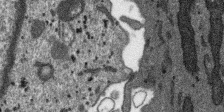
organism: Human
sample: Lung epithelial cells infected with SARS-CoV-2